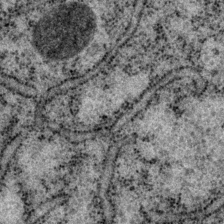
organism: P. pacificus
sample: Pharynx